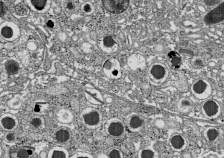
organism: C57BL Mouse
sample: Pancreatic islet